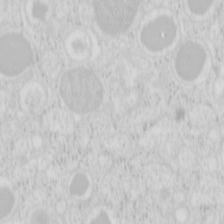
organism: Mouse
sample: Pancreas